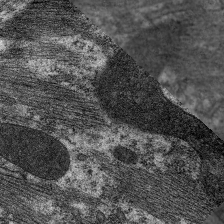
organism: C. elegans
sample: Pharynx